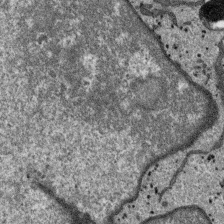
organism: Human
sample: Lung epithelial cells, uninfected (mock) control